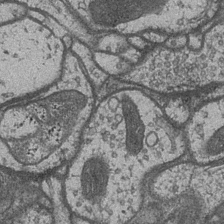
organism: Drosophila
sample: Optic medulla